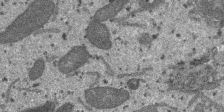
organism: Human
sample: Lung epithelial cells infected with SARS-CoV-2